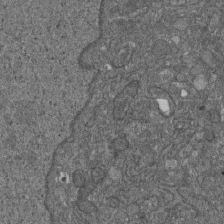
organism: Drosophila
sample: Nephrocyte